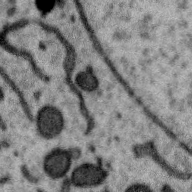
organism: Zebra finch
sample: Brain